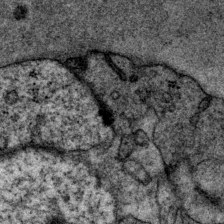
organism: P. pacificus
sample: Pharynx